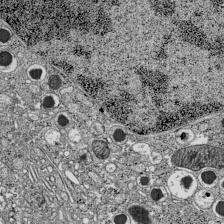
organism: C57BL Mouse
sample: Pancreatic islet